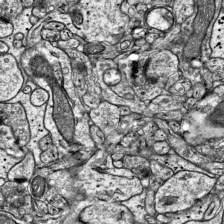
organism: Mouse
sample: Visual Cortex